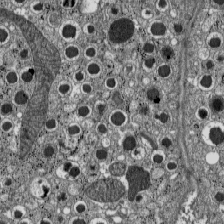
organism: C57BL Mouse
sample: Pancreatic islet